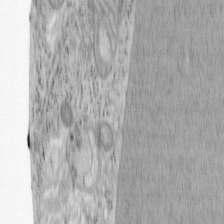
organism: Human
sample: HeLa cells